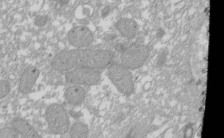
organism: Xenopus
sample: Cilia; centrioles in frog embryo cells